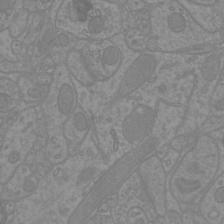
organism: Mouse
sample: Cortical neurons